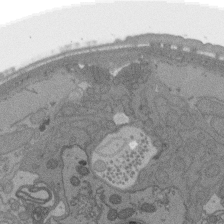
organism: C. elegans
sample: AFD neurons C. elegans